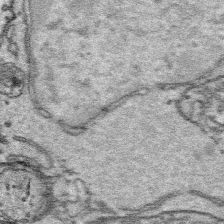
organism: Platynereis dumerilii